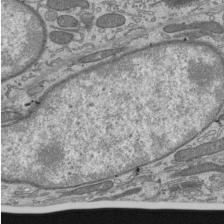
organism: Mouse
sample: Mouse epididymis efferent ductule cilia